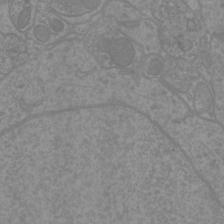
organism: Mouse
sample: Cortical neurons